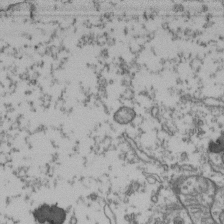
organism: Human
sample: Activated Jurkat CD4+ T cells